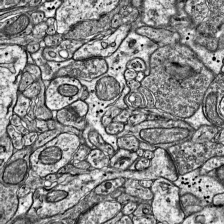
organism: Mouse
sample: Visual Cortex